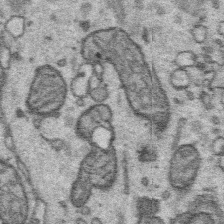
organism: Platynereis dumerilii